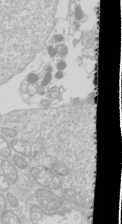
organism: Drosophila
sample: Cell division; meiosis; drosophila spermatocytes